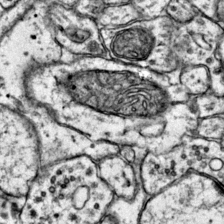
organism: Mouse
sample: Primary visual cortex